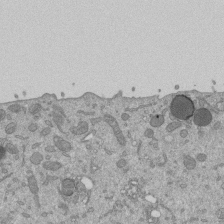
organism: Mouse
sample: ED-1 cell nuclei; centrioles